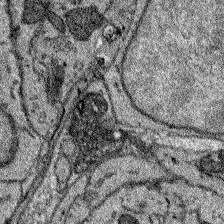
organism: Zebrafish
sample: Larval olfactory bulb